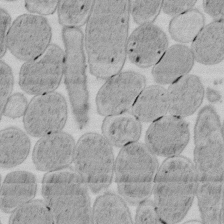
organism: E. coli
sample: Bacterial nucleoid